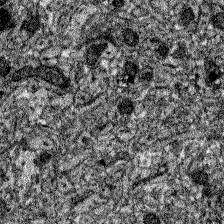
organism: Zebrafish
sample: Larval olfactory bulb